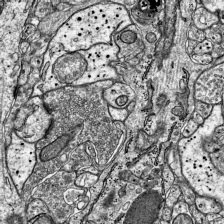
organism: Mouse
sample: Visual Cortex